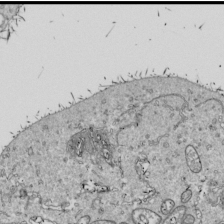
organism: Drosophila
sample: Cell division; meiosis; drosophila spermatocytes